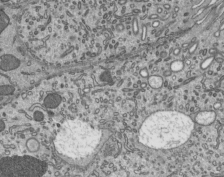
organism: Mouse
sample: Mouse epididymis efferent ductule cilia